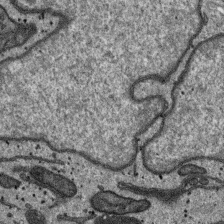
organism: Human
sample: Lung epithelial cells, uninfected (mock) control